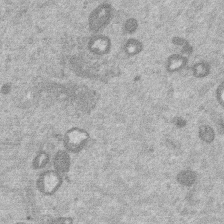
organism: Mouse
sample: Dividing mouse embryo 1 cell stage